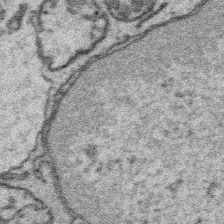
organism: Platynereis dumerilii